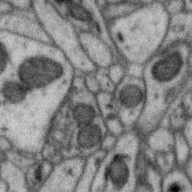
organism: Zebra finch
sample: Brain